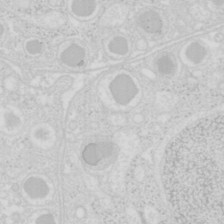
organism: Mouse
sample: Pancreas